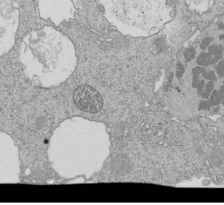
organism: Tetrahymena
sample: Cilia in tetrahymena